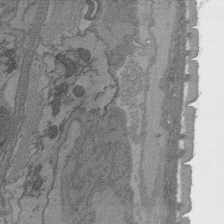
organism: C. elegans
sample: AFD neurons C. elegans